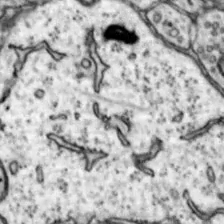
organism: Mouse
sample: Nucleus accumbens